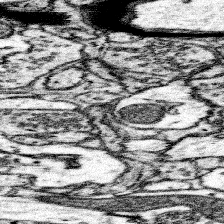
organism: Mouse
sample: Somatosensory cortex neuropil